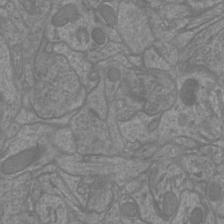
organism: Mouse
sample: Cortical neurons